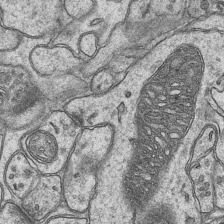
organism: Mouse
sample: CA1 Hippocampus